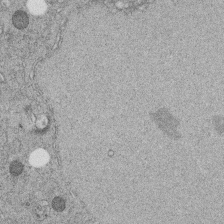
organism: C. elegans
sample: C. elegans embryo early stage